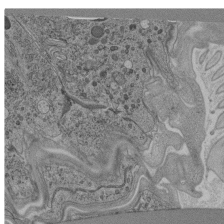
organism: C. elegans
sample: C. elegans pharynx